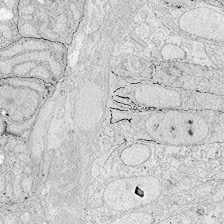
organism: Zebrafish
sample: Whole-Brain